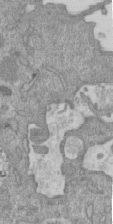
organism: Mouse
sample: ED-1 cell nuclei; centrioles